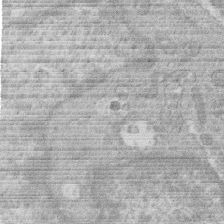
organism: Human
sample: Macrophage cells